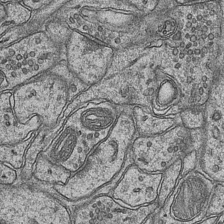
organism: Mouse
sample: CA1 Hippocampus